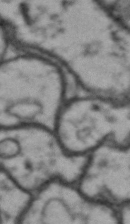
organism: Drosophila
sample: Brain